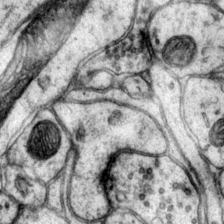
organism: Mouse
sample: Primary visual cortex